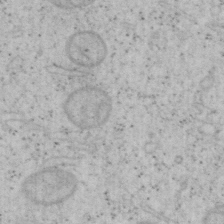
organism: Human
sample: HeLa cells